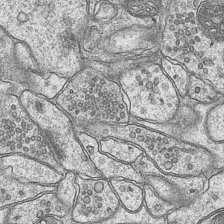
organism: Mouse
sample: CA1 Hippocampus